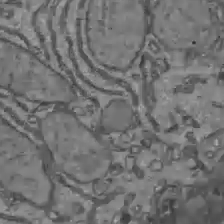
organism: C57BL Mouse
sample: Liver